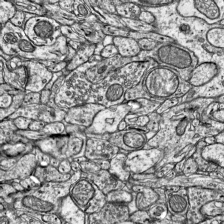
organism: Mouse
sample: Visual Cortex